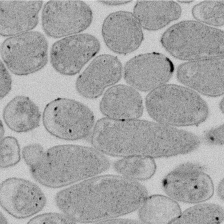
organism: E. coli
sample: Bacterial nucleoid